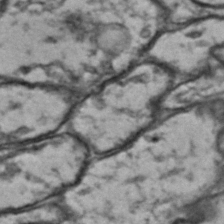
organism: Drosophila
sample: Brain